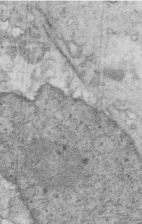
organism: Mouse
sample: Multiciliated cells